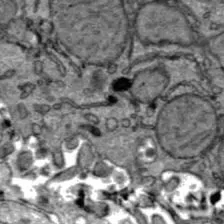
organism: C57BL Mouse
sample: Liver